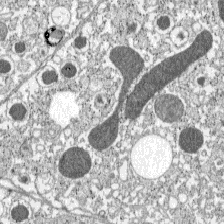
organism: C57BL Mouse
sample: Pancreatic islet